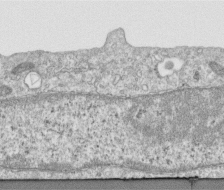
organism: Human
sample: Centriole in RPE cells